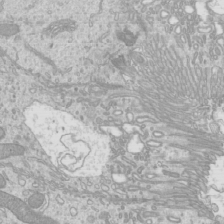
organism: Mouse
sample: Cilia; mouse epididymis